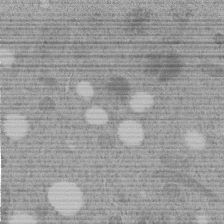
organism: C. elegans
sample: C. elegans embryo early stage